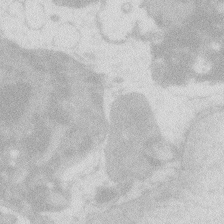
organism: Zebrafish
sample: Macrophage